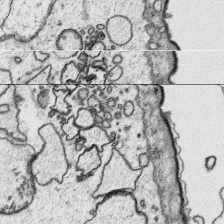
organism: Platynereis dumerilii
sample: Parapodia